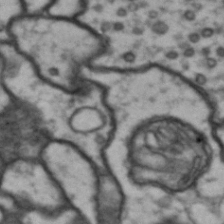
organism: Drosophila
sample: Brain